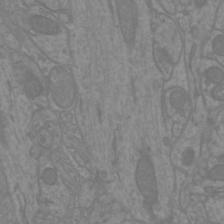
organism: Mouse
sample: Cortical neurons